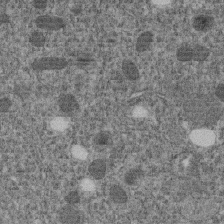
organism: C. elegans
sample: C. elegans embryo early stage